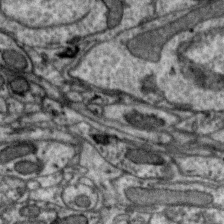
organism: Zebra finch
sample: Brain